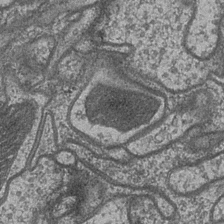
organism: Drosophila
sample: Optic medulla